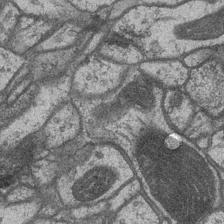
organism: Drosophila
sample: Optic medulla